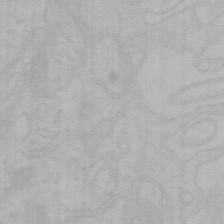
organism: Mouse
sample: Choroid plexus